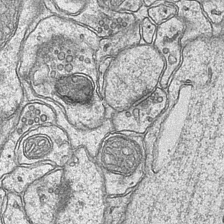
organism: Mouse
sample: CA1 Hippocampus